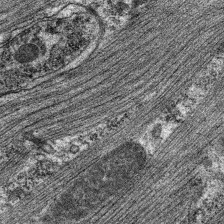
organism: C. elegans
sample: Pharynx